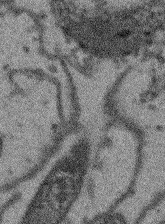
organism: Arabidopsis thaliana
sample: Root tip